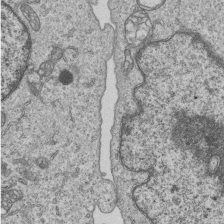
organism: Human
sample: MDA-MB-231 cells